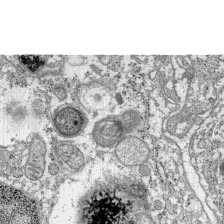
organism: C57BL Mouse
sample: Pancreatic islet